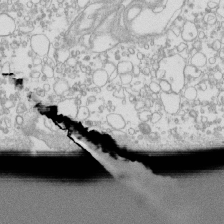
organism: Mouse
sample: Macrophages